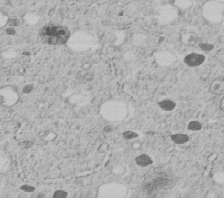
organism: C. elegans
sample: C. elegans embryo early stage